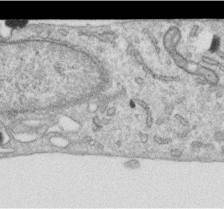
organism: Human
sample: Centriole in RPE cells